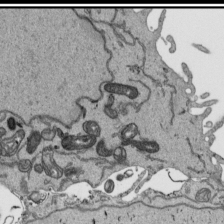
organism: Human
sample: Mitochondria in HCT116 cells